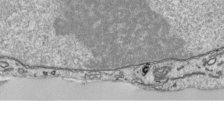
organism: Human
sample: Mitochondria in HCT116 cells